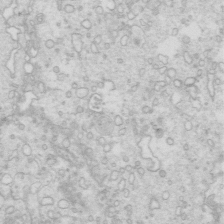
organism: Mouse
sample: Multiciliated cells